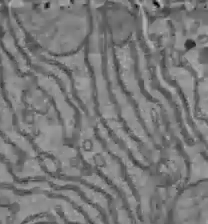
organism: C57BL Mouse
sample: Liver